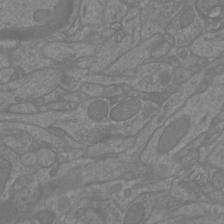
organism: Mouse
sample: Cortical neurons